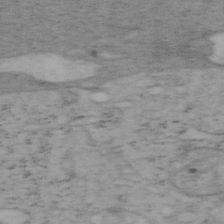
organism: Mouse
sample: OT-I killer T cells with ID8 ovarian cancer cells